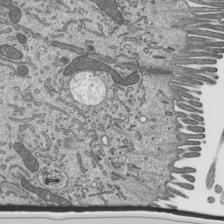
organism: Mouse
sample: Mouse epididymis efferent ductule cilia